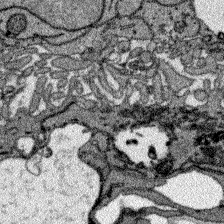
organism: Zebrafish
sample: Larval olfactory bulb